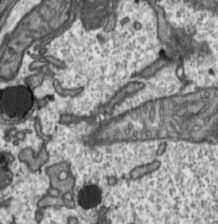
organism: Toxoplasma gondii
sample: Parasites in a vacuole inside a host cell